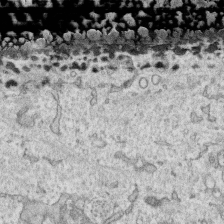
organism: Human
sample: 1205lu cells